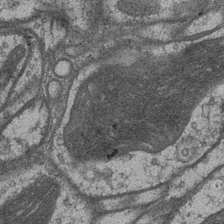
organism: Drosophila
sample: Optic medulla